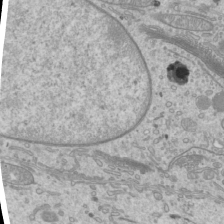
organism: Mouse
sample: Cilia; mouse epididymis